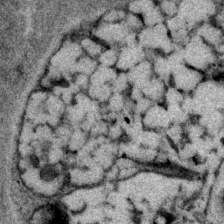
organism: P. pacificus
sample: Pharynx